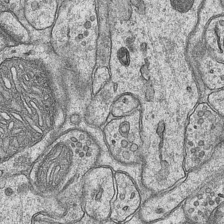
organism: Mouse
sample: CA1 Hippocampus